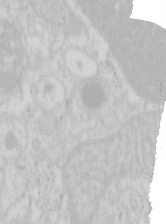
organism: Mouse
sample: Pancreas